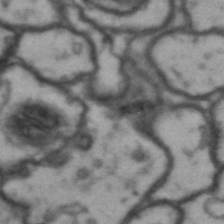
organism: Drosophila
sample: Brain